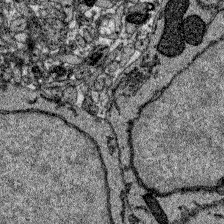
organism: Zebrafish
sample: Larval olfactory bulb